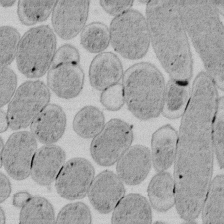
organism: E. coli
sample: Bacterial nucleoid